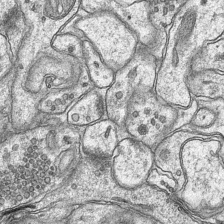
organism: Mouse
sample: CA1 Hippocampus